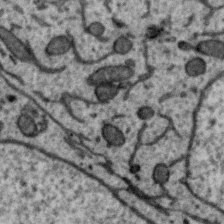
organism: Zebra finch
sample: Brain